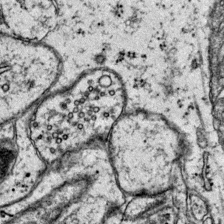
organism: Mouse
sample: Primary visual cortex